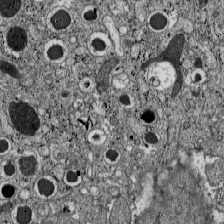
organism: C57BL Mouse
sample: Pancreatic islet